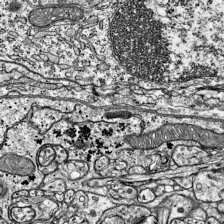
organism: Mouse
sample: Visual Cortex